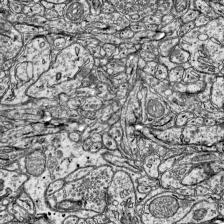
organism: Mouse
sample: Visual Cortex